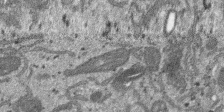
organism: Human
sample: Lung epithelial cells infected with SARS-CoV-2